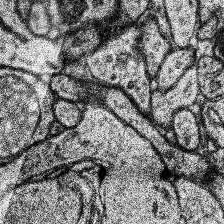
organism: Human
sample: Temporal Lobe